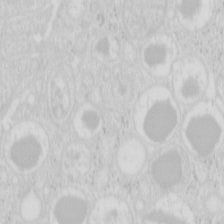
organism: Mouse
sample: Pancreas